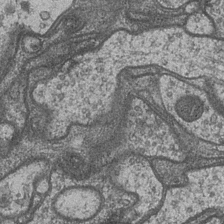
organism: Drosophila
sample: Optic medulla